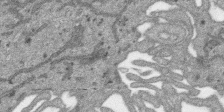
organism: Human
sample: Lung epithelial cells infected with SARS-CoV-2